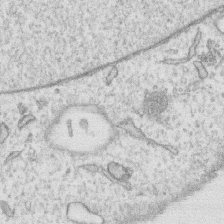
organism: Human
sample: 1205lu cells